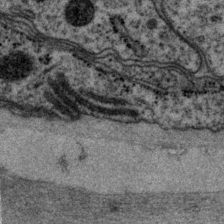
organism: P. pacificus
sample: Pharynx